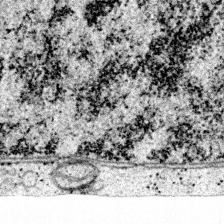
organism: Human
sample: HeLa cells